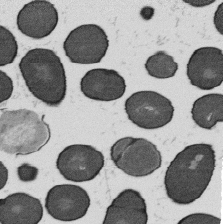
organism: B. subtilis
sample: Bacterial spore